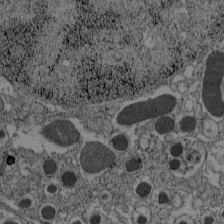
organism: C57BL Mouse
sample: Pancreatic islet